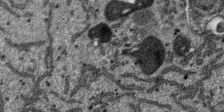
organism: Human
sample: Lung epithelial cells infected with SARS-CoV-2